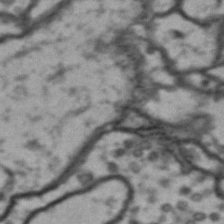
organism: Drosophila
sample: Brain